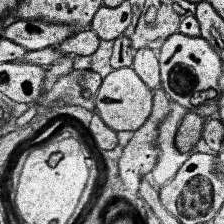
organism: Human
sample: Temporal Lobe